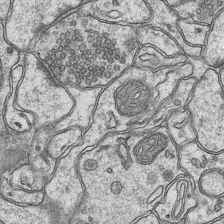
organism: Mouse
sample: CA1 Hippocampus